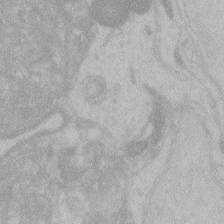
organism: Zebrafish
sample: Macrophage infected with Toxoplasma gondii